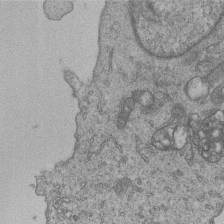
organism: Human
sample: MDA-MB-231 cells